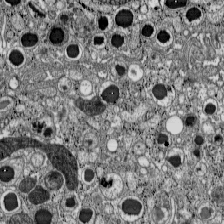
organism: C57BL Mouse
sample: Pancreatic islet